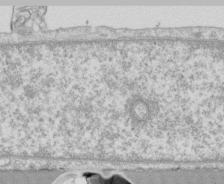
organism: Human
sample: CRL-1474